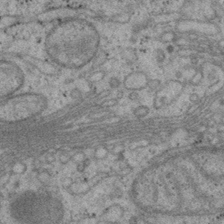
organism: Human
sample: HeLa cells